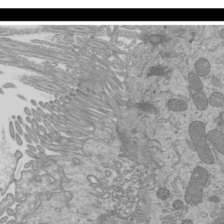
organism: Mouse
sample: Cilia; mouse epididymis